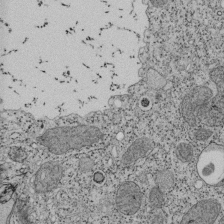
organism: Tetrahymena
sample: Cilia in tetrahymena